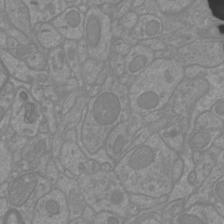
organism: Mouse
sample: Cortical neurons